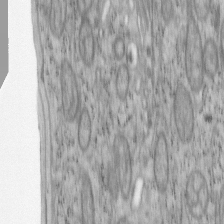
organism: Human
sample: HeLa cells